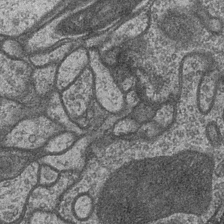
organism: Drosophila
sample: Optic medulla